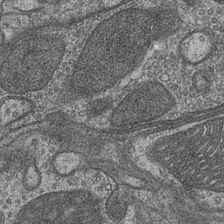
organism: Drosophila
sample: Optic medulla